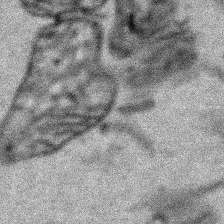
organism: Human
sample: Mitochondria in HCT116 cells